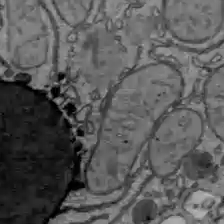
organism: C57BL Mouse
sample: Liver